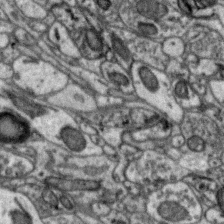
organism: Zebra finch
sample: Brain